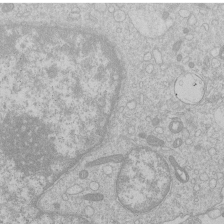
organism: Human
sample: Macrophage cells